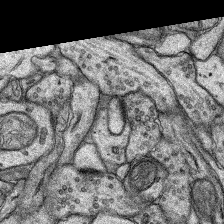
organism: Rat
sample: Hippocampus